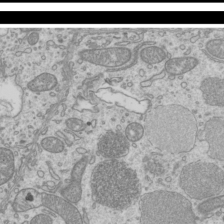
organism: Mouse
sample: Cilia; mouse epididymis